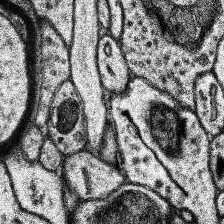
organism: Human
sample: Temporal Lobe